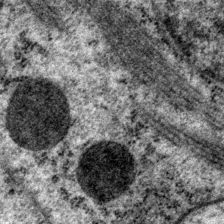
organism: P. pacificus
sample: Pharynx